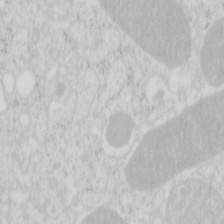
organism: Mouse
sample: Pancreas